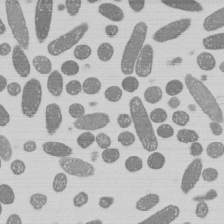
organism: E. coli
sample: Bacterial nucleoid